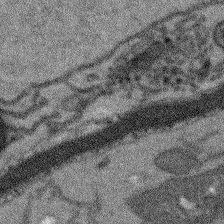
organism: Arabidopsis thaliana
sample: Root tip